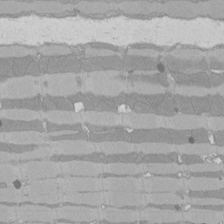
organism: Rat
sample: Left ventricle